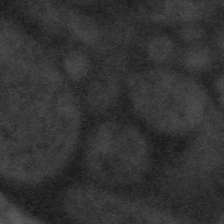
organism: Tuwongella immobilis